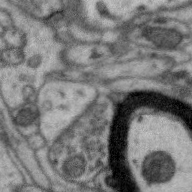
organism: Zebra finch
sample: Brain